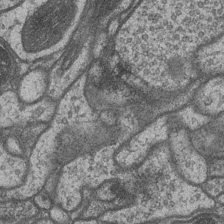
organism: Drosophila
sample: Optic medulla